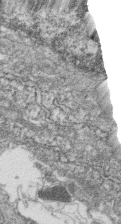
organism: Zebrafish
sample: Cilia; retinal pigment epithelium